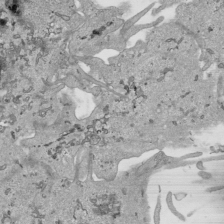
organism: Human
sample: Mitochondria in HCT116 cells